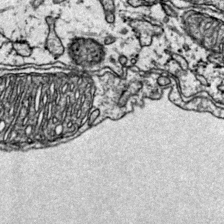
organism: Mouse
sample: Primary visual cortex